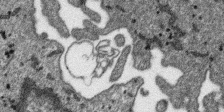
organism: Human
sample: Lung epithelial cells infected with SARS-CoV-2